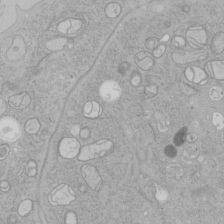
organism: Human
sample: Mitochondria in HCT116 cells